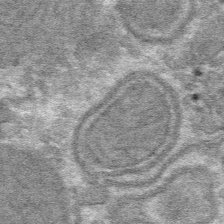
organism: Mouse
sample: Mouse hepatocytes